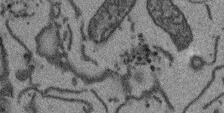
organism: Arabidopsis thaliana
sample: Root tip